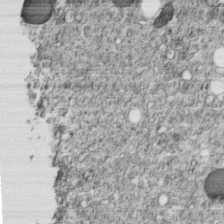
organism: C. elegans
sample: C. elegans embryo early stage